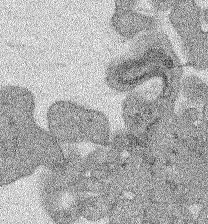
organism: Human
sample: HeLa cells